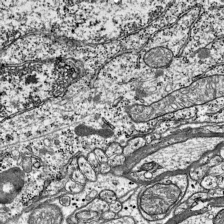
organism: Mouse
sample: Visual Cortex